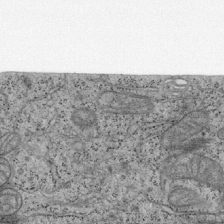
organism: Human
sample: HeLa cells